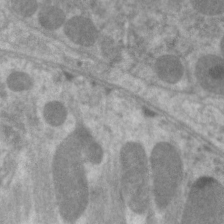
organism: C. elegans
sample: Pharynx